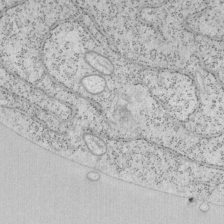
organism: Mouse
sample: OT-I killer T cells with ID8 ovarian cancer cells